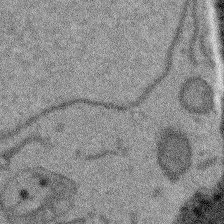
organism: Arabidopsis thaliana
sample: Root tip